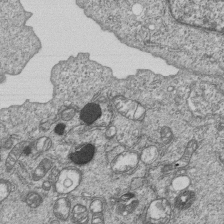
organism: Human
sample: MDA-MB-231 cells